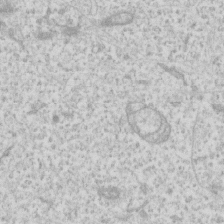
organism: Human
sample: Fibroblast cells